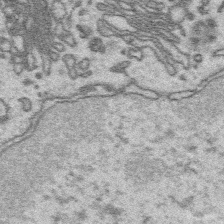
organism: Platynereis dumerilii